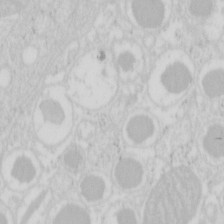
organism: Mouse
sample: Pancreas